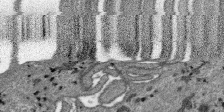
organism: Human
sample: Lung epithelial cells, uninfected (mock) control